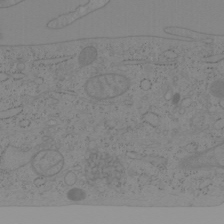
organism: Human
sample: HeLa cells